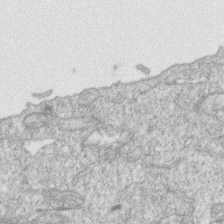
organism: Human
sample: HeLa cell HIV synapse